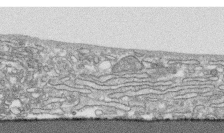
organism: Human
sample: CRL-1474